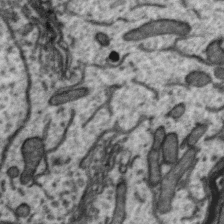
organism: Zebra finch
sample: Brain